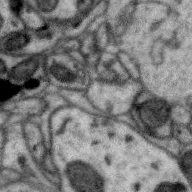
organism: Zebra finch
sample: Brain